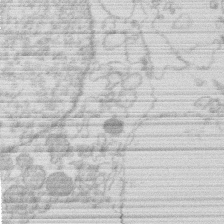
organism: Human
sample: Macrophage cells